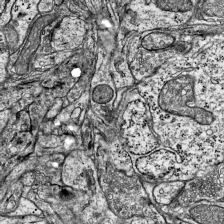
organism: Mouse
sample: Visual Cortex